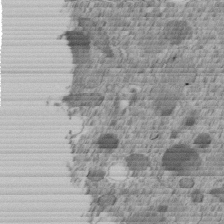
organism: C. elegans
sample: C. elegans embryo early stage